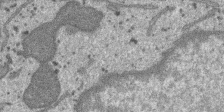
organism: Human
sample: Lung epithelial cells infected with SARS-CoV-2